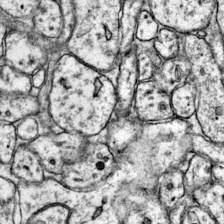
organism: Mouse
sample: Primary visual cortex